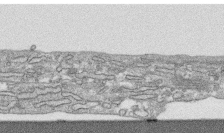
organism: Human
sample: CRL-1474